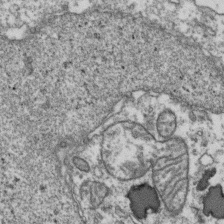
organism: Human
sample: Activated Jurkat CD4+ T cells